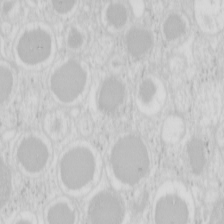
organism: Mouse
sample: Pancreas